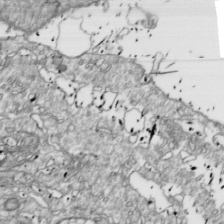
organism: Drosophila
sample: Cell division; meiosis; drosophila spermatocytes